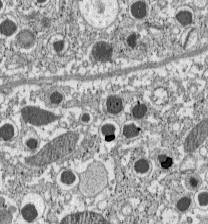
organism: C57BL Mouse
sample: Pancreatic islet